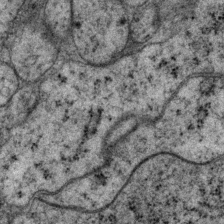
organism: P. pacificus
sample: Pharynx